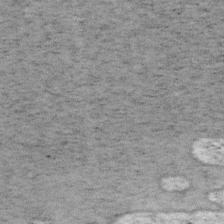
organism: Mouse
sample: OT-I killer T cells with ID8 ovarian cancer cells